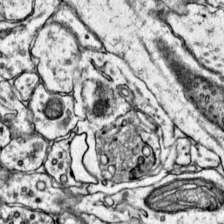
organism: Mouse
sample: Primary visual cortex